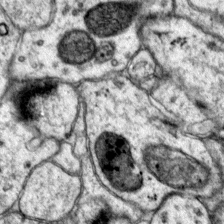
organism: Mouse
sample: Primary visual cortex